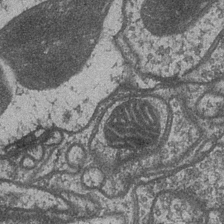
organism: Drosophila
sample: Optic medulla